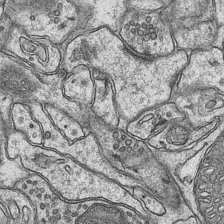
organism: Mouse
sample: CA1 Hippocampus